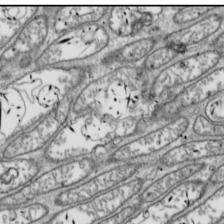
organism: Drosophila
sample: Cell division; meiosis; drosophila spermatocytes